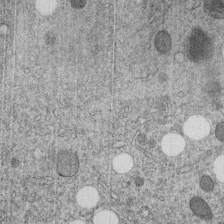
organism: C. elegans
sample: C. elegans embryo early stage